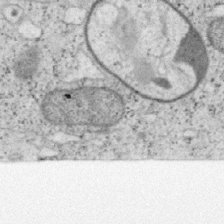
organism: Mouse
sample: OT-I killer T cells with ID8 ovarian cancer cells